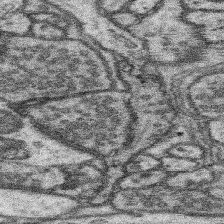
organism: Mouse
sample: Somatosensory cortex neuropil